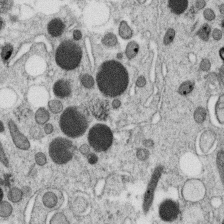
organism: C. elegans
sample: C. elegans oocyte; sperm cells